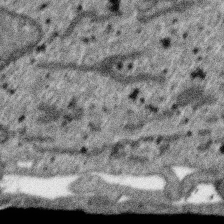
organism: Human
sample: Lung epithelial cells infected with SARS-CoV-2